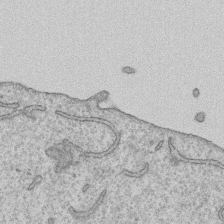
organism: Human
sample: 1205lu cells